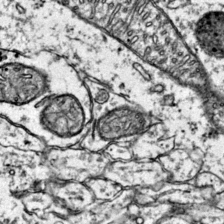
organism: Mouse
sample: Primary visual cortex